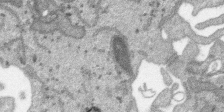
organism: Human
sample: Lung epithelial cells infected with SARS-CoV-2